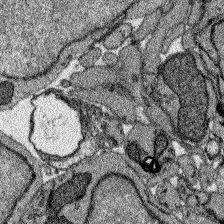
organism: Zebrafish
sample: Larval olfactory bulb